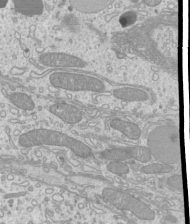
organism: Mouse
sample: Cilia; mouse epididymis